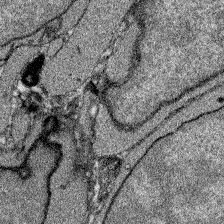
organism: Zebrafish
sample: Larval olfactory bulb